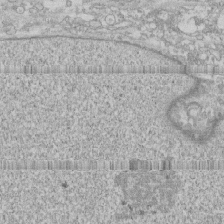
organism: Human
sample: CRL-1474